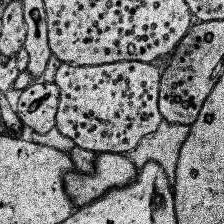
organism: Human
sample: Temporal Lobe